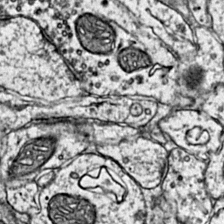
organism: Mouse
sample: Primary visual cortex